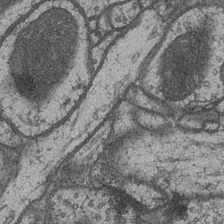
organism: Drosophila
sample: Optic medulla